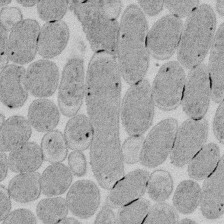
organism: E. coli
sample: Bacterial nucleoid